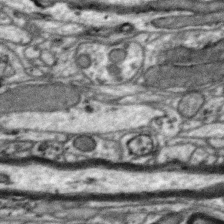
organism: Zebra finch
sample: Brain